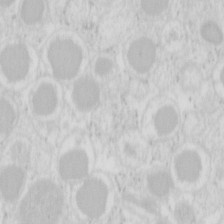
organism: Mouse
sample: Pancreas